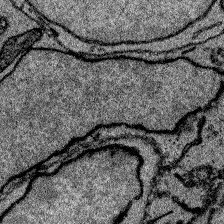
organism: Zebrafish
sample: Larval olfactory bulb